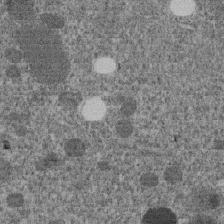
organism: C. elegans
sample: C. elegans embryo early stage